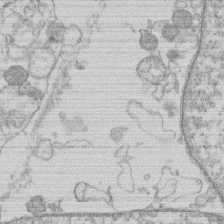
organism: Human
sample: Macrophage cells